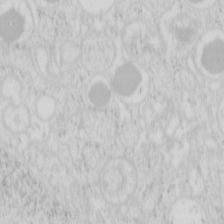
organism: Mouse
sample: Pancreas